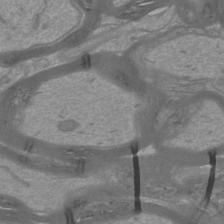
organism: Mouse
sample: Cortical neurons